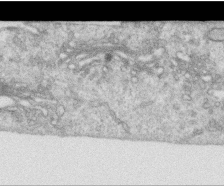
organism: Human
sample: Centriole in RPE cells